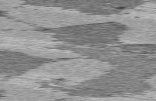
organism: C57BL Mouse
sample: Heart